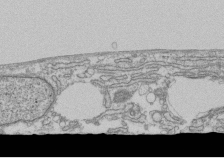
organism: Human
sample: Fibroblast cells